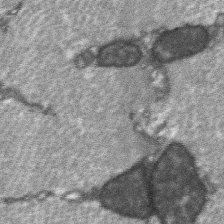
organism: C57BL Mouse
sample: Soleus